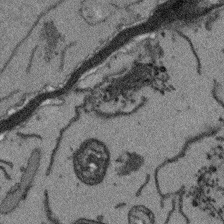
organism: Arabidopsis thaliana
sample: Root tip